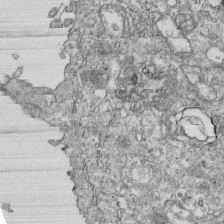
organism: Human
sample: HeLa cell HIV synapse